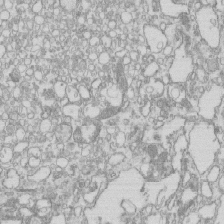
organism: Mouse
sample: Macrophages